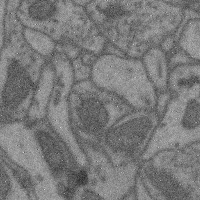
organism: Mouse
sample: Cerebral cortex